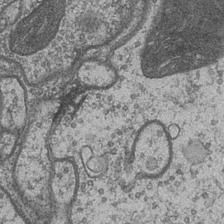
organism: Drosophila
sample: Optic medulla